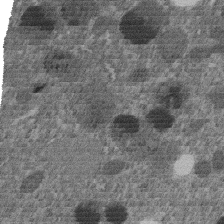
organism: C. elegans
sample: C. elegans embryo early stage